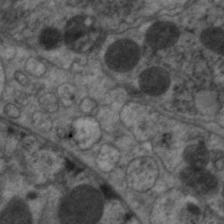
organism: C. elegans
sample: Pharynx